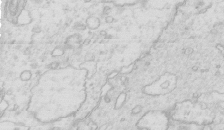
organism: Mouse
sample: Multiciliated cells